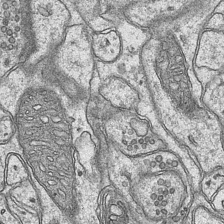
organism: Mouse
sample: CA1 Hippocampus